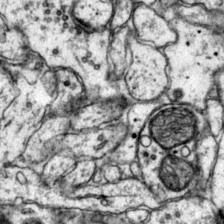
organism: Mouse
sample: Primary visual cortex